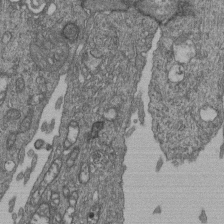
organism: Human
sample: Retinal organoid Rod and Cone cells